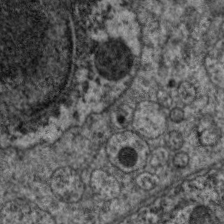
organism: C. elegans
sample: Pharynx